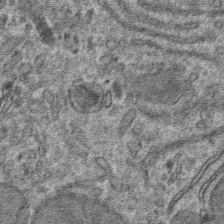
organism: Mouse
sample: Mouse hepatocytes